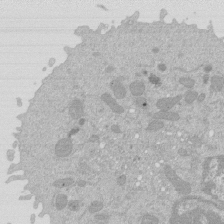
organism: Mouse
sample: Activated Pmel transgenic CD8+ T Cells